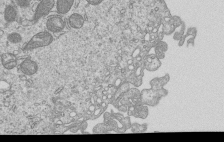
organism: Human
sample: MDA-MB-231 cells